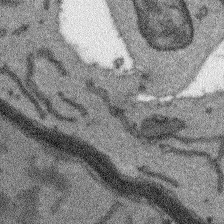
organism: Arabidopsis thaliana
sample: Root tip